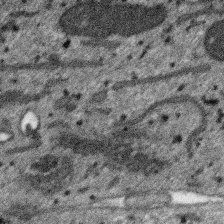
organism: Human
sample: Lung epithelial cells infected with SARS-CoV-2